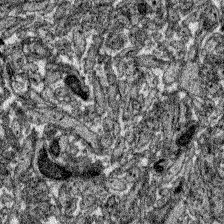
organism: Zebrafish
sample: Larval olfactory bulb